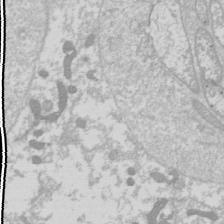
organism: Drosophila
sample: Cell division; meiosis; drosophila spermatocytes